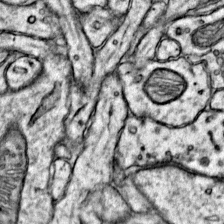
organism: Mouse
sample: Primary visual cortex